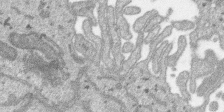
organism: Human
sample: Lung epithelial cells infected with SARS-CoV-2